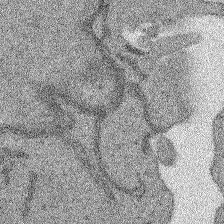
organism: Human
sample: HeLa cells